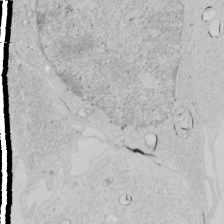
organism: Human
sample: Mitochondria in HCT116 cells